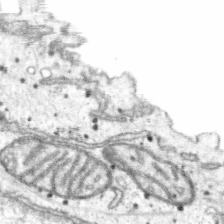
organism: Human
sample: HeLa cells